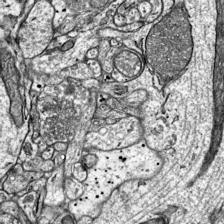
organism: Mouse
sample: Visual Cortex